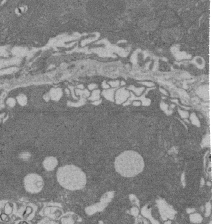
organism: Rat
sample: Salivary granule